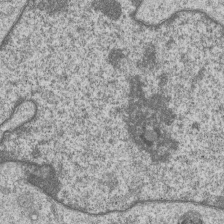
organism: Human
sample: MDA-MB-231 cells